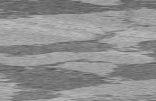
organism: C57BL Mouse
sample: Heart